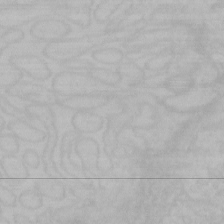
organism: Mouse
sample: Choroid plexus